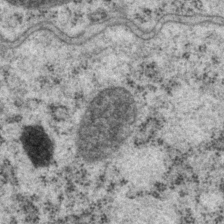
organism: P. pacificus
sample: Pharynx